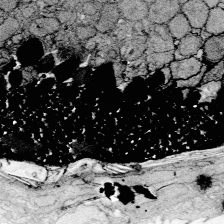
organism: Zebrafish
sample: Whole-Brain